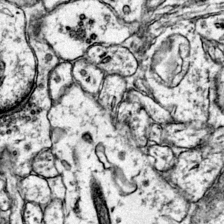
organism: Mouse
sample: Primary visual cortex